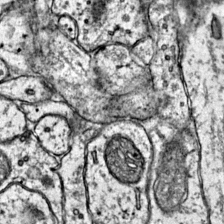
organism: Mouse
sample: Primary visual cortex